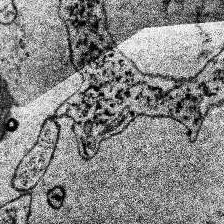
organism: Human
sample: Temporal Lobe